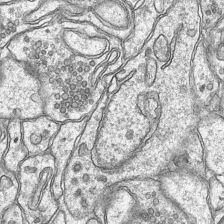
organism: Mouse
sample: CA1 Hippocampus